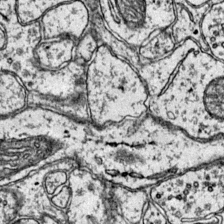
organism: Mouse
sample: Primary visual cortex